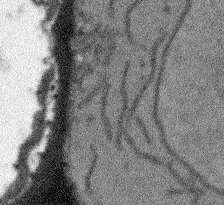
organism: Arabidopsis thaliana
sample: Root tip